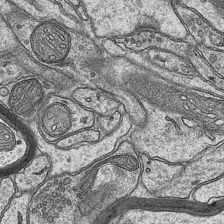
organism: Mouse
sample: CA1 Hippocampus